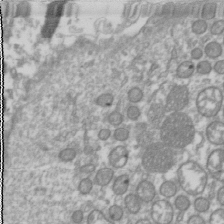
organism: Drosophila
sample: Cell division; meiosis; drosophila spermatocytes